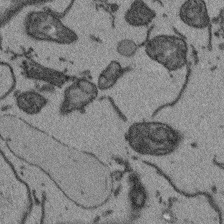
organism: Arabidopsis thaliana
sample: Root tip